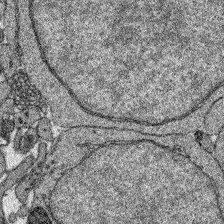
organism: Zebrafish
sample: Larval olfactory bulb